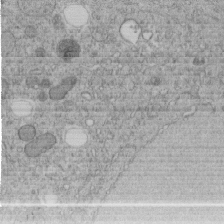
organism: C. elegans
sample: C. elegans embryo early stage